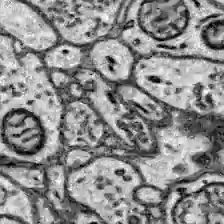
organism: Zebrafish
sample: Brain